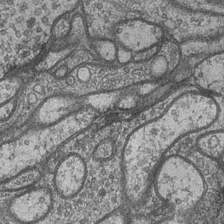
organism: Drosophila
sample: Optic medulla